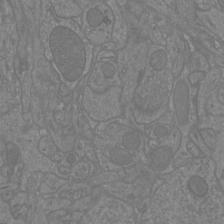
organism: Mouse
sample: Cortical neurons